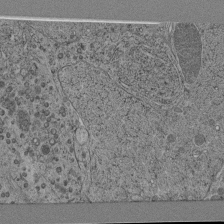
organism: C. elegans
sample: C. elegans pharynx